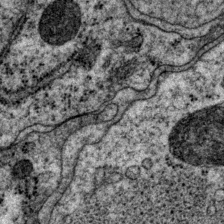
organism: P. pacificus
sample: Pharynx